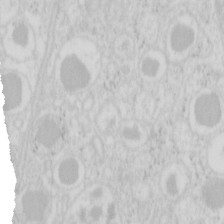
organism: Mouse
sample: Pancreas